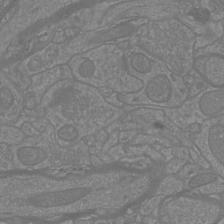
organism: Mouse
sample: Cortical neurons